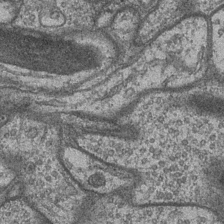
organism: Drosophila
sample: Optic medulla